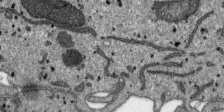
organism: Human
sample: Lung epithelial cells, uninfected (mock) control